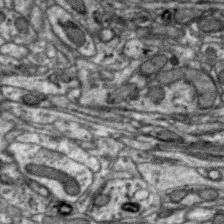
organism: Zebra finch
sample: Brain